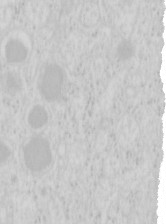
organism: Mouse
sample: Pancreas